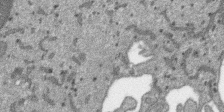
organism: Human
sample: Lung epithelial cells infected with SARS-CoV-2